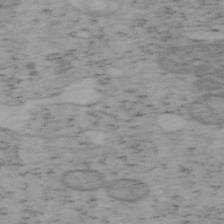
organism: Mouse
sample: OT-I killer T cells with ID8 ovarian cancer cells